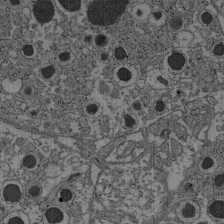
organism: C57BL Mouse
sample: Pancreatic islet